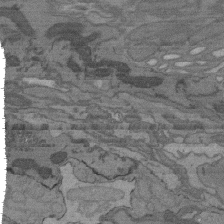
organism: C. elegans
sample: AFD neurons C. elegans